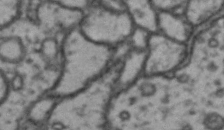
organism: Drosophila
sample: Brain